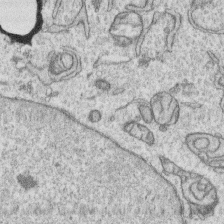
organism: Human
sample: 1205lu cells